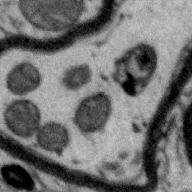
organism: Zebra finch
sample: Brain